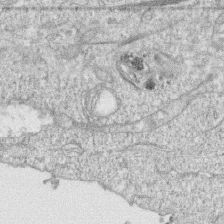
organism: Human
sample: HeLa cell HIV synapse